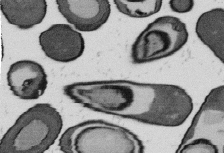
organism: B. subtilis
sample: Bacterial spore